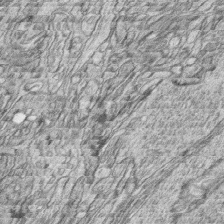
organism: Zebrafish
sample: synaptic ribbons in rod cells and cone cells